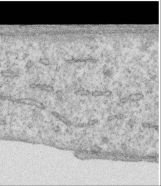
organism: Human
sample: Centriole in RPE cells